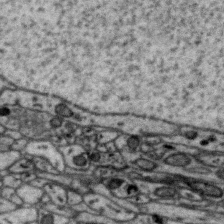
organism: Zebra finch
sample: Brain